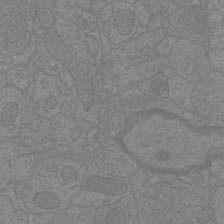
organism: Mouse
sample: Cortical neurons